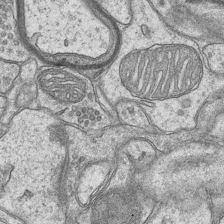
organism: Mouse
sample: CA1 Hippocampus